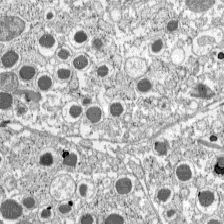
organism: C57BL Mouse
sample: Pancreatic islet